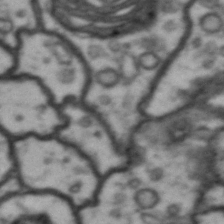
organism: Drosophila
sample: Brain